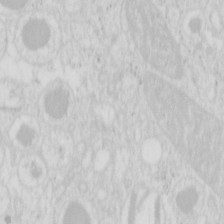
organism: Mouse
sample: Pancreas